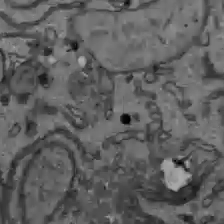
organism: C57BL Mouse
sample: Liver